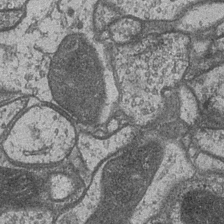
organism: Drosophila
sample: Optic medulla